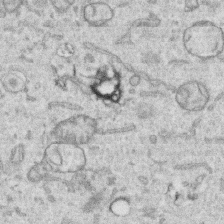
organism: Human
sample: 1205lu cells